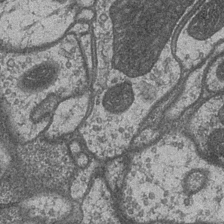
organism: Drosophila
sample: Optic medulla